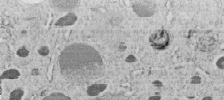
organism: C. elegans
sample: C. elegans embryo early stage